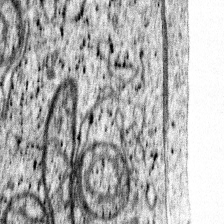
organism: Human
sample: HeLa cells